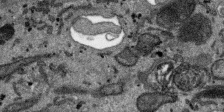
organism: Human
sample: Lung epithelial cells, uninfected (mock) control